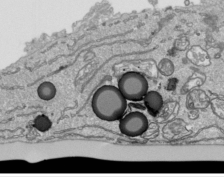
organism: Human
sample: Mitochondria in HCT116 cells